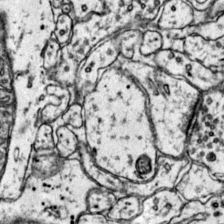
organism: Mouse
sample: Primary visual cortex